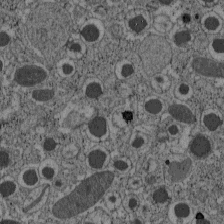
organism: C57BL Mouse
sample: Pancreatic islet